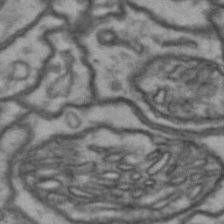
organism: Drosophila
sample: Brain